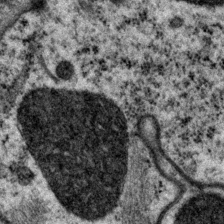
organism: P. pacificus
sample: Pharynx